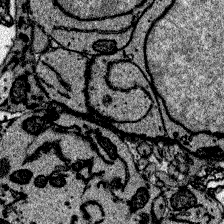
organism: Zebrafish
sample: Larval olfactory bulb